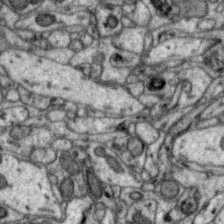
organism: Zebra finch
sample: Brain